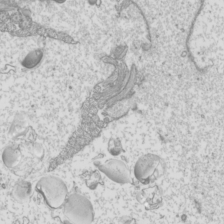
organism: Mouse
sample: Cilia; mouse epididymis